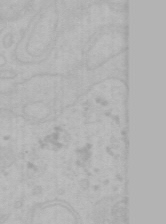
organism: Mouse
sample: Choroid plexus